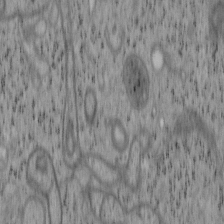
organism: Human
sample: HeLa cells